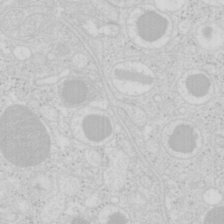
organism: Mouse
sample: Pancreas